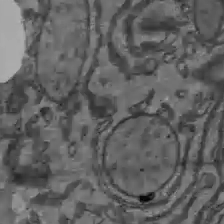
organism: C57BL Mouse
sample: Liver